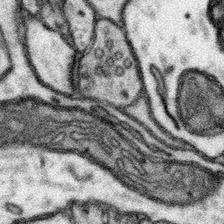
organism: Mouse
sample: Somatosensory cortex neuropil